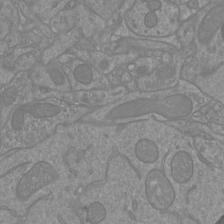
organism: Mouse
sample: Cortical neurons